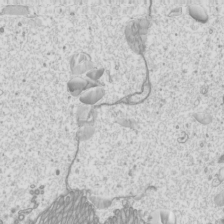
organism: Mouse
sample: Cilia; mouse epididymis